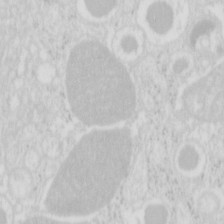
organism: Mouse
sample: Pancreas